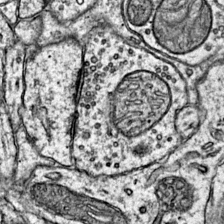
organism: Mouse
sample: Primary visual cortex